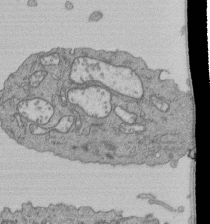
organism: Human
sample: Retinal organoid Rod and Cone cells